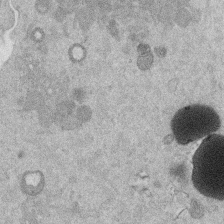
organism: Mouse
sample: Dividing mouse embryo 1 cell stage